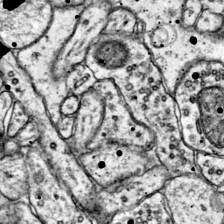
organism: Mouse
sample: Primary visual cortex